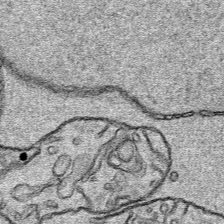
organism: Human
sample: Mitochondria in HCT116 cells